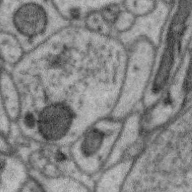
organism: Zebra finch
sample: Brain